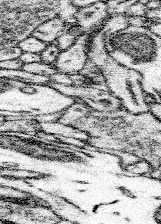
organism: Mouse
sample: Somatosensory cortex neuropil